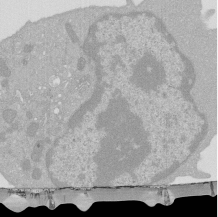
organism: Mouse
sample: Activated Pmel transgenic CD8+ T Cells